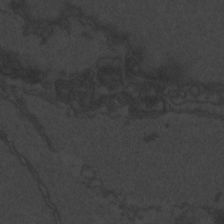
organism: Zebrafish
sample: Macrophage infected with Toxoplasma gondii